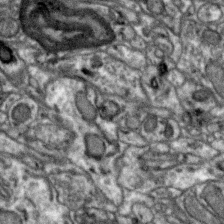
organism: Zebra finch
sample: Brain